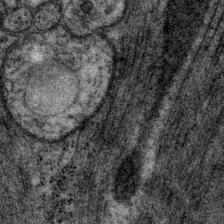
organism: P. pacificus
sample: Pharynx